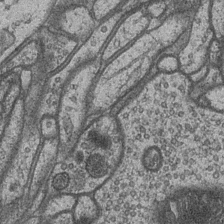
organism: Drosophila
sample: Optic medulla